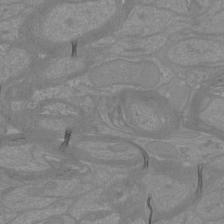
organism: Mouse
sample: Cortical neurons